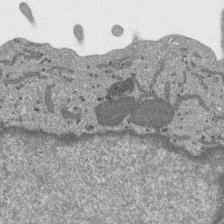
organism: Human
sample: Lung epithelial cells infected with SARS-CoV-2